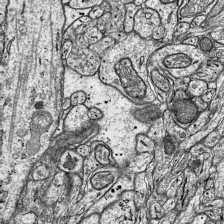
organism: Mouse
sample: Visual Cortex